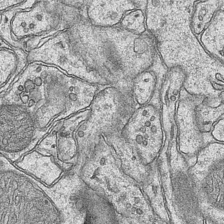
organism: Mouse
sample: CA1 Hippocampus